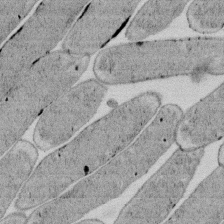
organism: E. coli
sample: Bacterial nucleoid